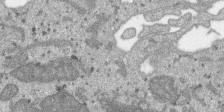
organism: Human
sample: Lung epithelial cells infected with SARS-CoV-2